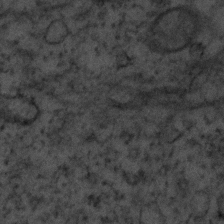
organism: Human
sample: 1205lu cells